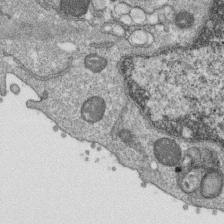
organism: African green monkey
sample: Vero E6 cells infected with SARS-CoV-2